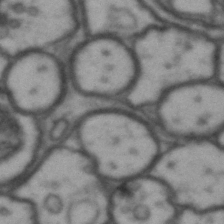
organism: Drosophila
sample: Brain